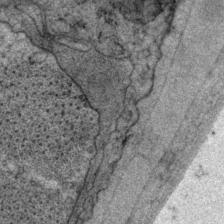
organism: P. pacificus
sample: Pharynx